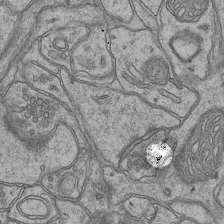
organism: Mouse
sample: CA1 Hippocampus